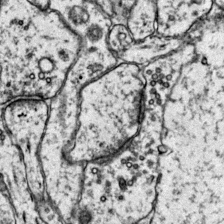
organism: Mouse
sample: Primary visual cortex